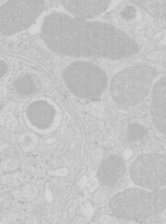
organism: Mouse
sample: Pancreas